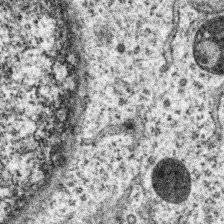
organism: Human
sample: HeLa cells